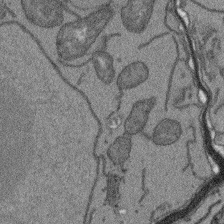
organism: Arabidopsis thaliana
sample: Root tip